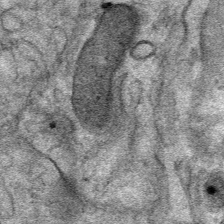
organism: Mouse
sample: Mouse Salivary gland